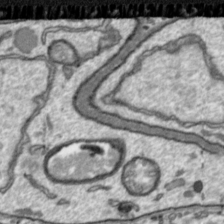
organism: Toxoplasma gondii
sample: Parasites in a vacuole inside a host cell